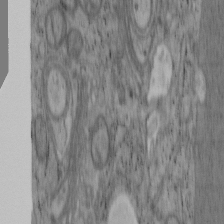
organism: Human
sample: HeLa cells